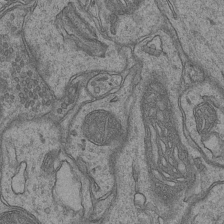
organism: Mouse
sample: CA1 Hippocampus